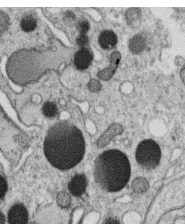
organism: C. elegans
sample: C. elegans oocyte; sperm cells